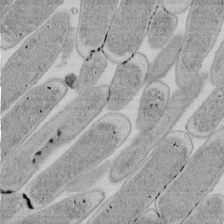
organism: E. coli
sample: Bacterial nucleoid